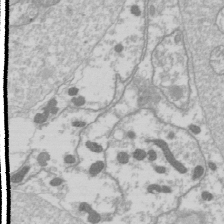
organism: Drosophila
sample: Cell division; meiosis; drosophila spermatocytes